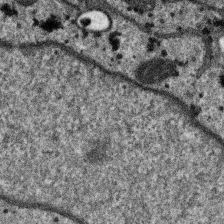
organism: Human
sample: Lung epithelial cells infected with SARS-CoV-2